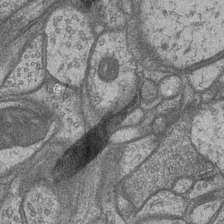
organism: Drosophila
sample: Optic medulla